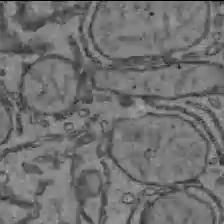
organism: C57BL Mouse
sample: Liver